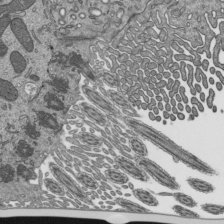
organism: Mouse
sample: Mouse epididymis efferent ductule cilia